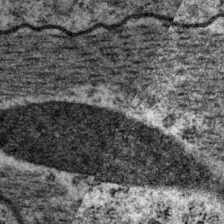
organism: P. pacificus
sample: Pharynx